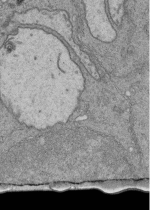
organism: Human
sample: Retinal organoid Rod and Cone cells